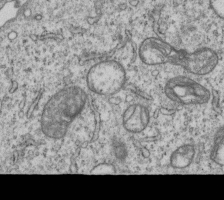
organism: Human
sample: MDA-MB-231 cells